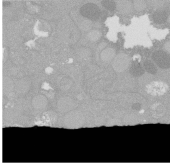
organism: C. elegans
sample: C. elegans oocyte; sperm cells